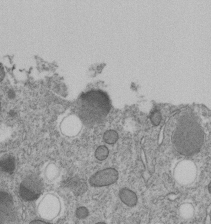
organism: C. elegans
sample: C. elegans embryo early stage